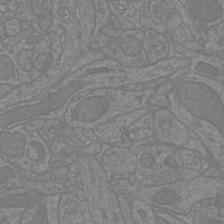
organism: Mouse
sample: Cortical neurons